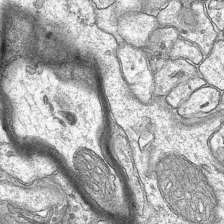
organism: Mouse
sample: CA1 Hippocampus